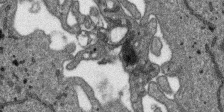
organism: Human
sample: Lung epithelial cells infected with SARS-CoV-2